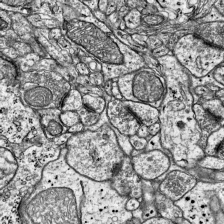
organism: Mouse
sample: Visual Cortex